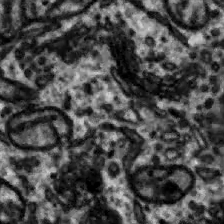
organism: Human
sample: HeLa cells